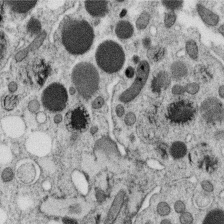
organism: C. elegans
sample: C. elegans oocyte; sperm cells